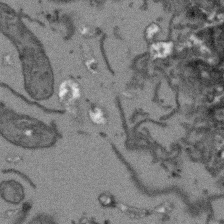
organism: Arabidopsis thaliana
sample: Root tip